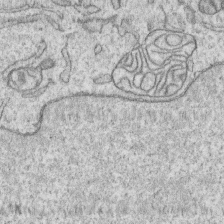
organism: Human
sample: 1205lu cells